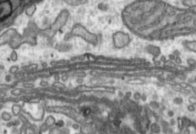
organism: Toxoplasma gondii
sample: Parasites in a vacuole inside a host cell